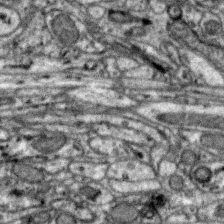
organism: Zebra finch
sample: Brain